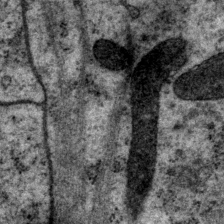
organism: P. pacificus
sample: Pharynx